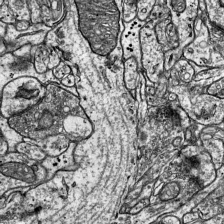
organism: Mouse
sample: Visual Cortex